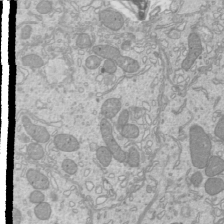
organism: Mouse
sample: Cilia; mouse epididymis